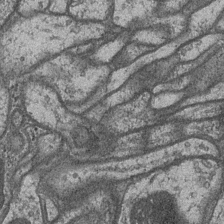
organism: Drosophila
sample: Optic medulla